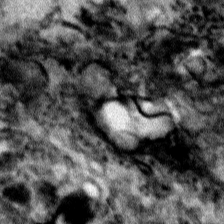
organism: Human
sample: Mitochondria in HCT116 cells